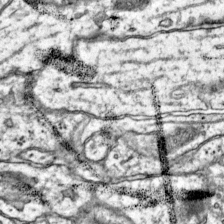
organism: Mouse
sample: Primary visual cortex